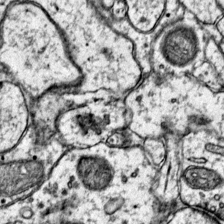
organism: Mouse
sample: Primary visual cortex